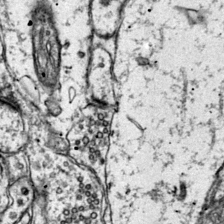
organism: Mouse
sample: Primary visual cortex